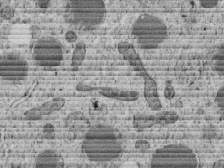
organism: C. elegans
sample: C. elegans embryo early stage